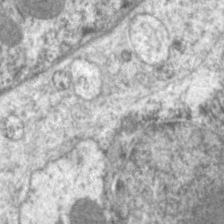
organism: C. elegans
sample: Pharynx